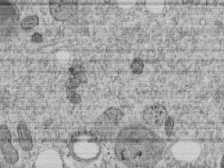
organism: C. elegans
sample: C. elegans embryo early stage